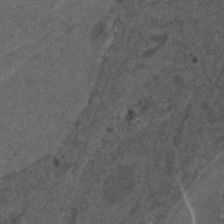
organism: C. elegans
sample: C. elegans embryo